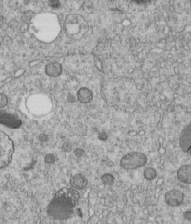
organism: C. elegans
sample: C. elegans embryo early stage